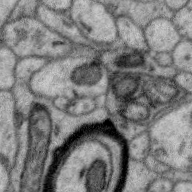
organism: Zebra finch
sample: Brain